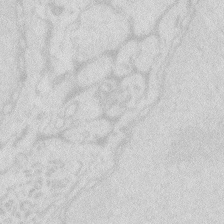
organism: Zebrafish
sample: Macrophage